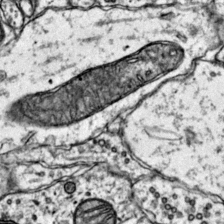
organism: Mouse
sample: Primary visual cortex